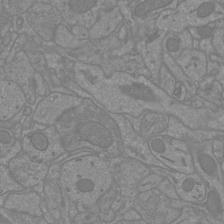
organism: Mouse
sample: Cortical neurons